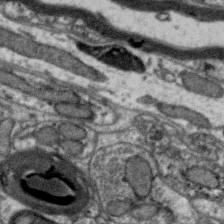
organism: Zebra finch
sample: Brain